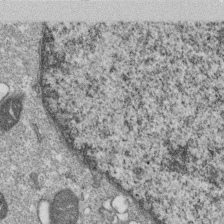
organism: African green monkey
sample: Vero E6 cells infected with SARS-CoV-2